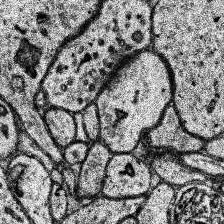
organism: Human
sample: Temporal Lobe